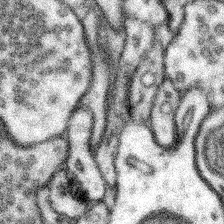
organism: Mouse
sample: Somatosensory cortex neuropil